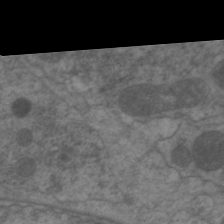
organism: C. elegans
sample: Pharynx